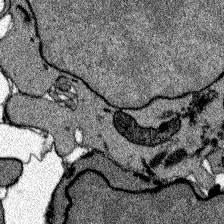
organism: Zebrafish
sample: Larval olfactory bulb